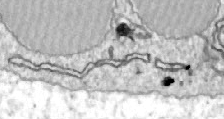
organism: Zebrafish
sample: Actinotrichia fibers